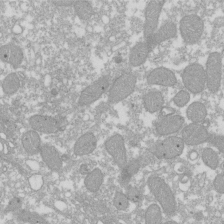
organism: Xenopus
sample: Cilia; centrioles in frog embryo cells